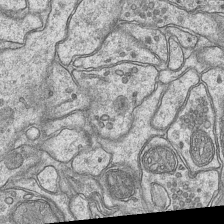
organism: Mouse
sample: CA1 Hippocampus